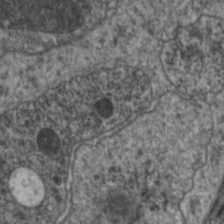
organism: C. elegans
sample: Pharynx